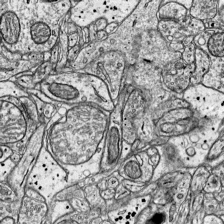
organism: Mouse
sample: Visual Cortex